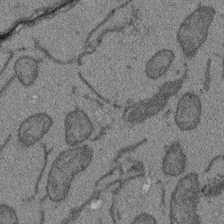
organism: Arabidopsis thaliana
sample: Root tip